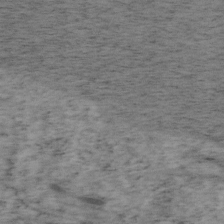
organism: Mouse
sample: OT-I killer T cells with ID8 ovarian cancer cells